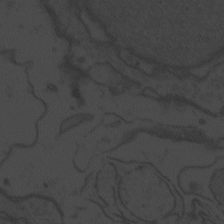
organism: Zebrafish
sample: Macrophage infected with Toxoplasma gondii